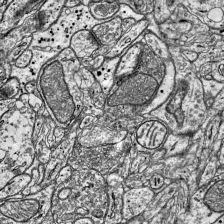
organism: Mouse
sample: Visual Cortex